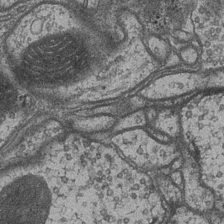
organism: Drosophila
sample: Optic medulla